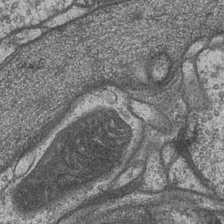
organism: Drosophila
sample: Optic medulla